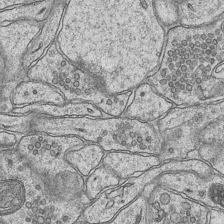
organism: Mouse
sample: CA1 Hippocampus